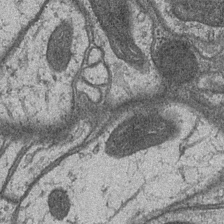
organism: Drosophila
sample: Optic medulla